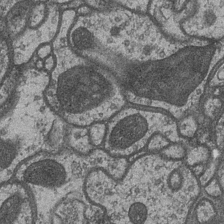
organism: Drosophila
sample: Optic medulla